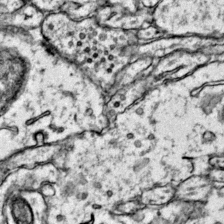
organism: Mouse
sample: Primary visual cortex